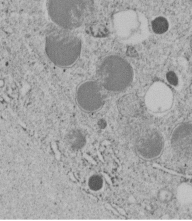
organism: C. elegans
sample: C. elegans embryo early stage